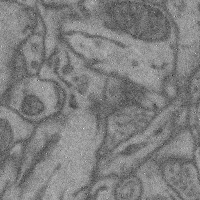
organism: Mouse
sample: Cerebral cortex